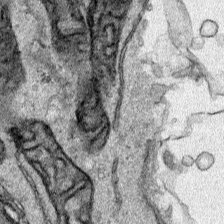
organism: Human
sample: Mitochondria in HCT116 cells